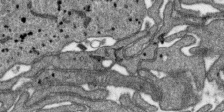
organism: Human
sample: Lung epithelial cells, uninfected (mock) control